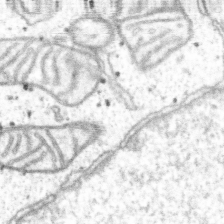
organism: Human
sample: HeLa cells